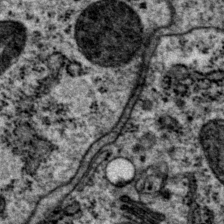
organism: P. pacificus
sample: Pharynx